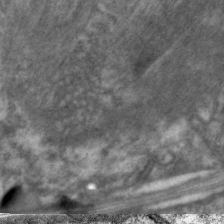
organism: C. elegans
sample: Pharynx